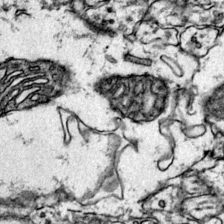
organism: Mouse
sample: Primary visual cortex